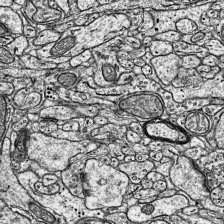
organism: Mouse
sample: Visual Cortex